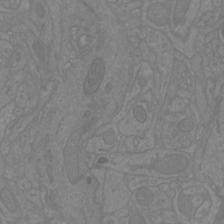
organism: Mouse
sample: Cortical neurons